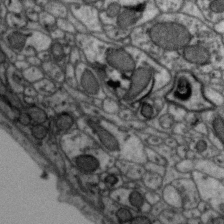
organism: Zebra finch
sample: Brain